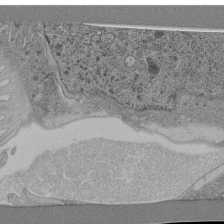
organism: C. elegans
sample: C. elegans pharynx